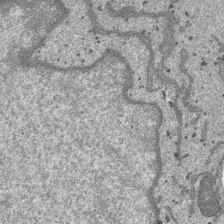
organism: Human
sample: Lung epithelial cells infected with SARS-CoV-2